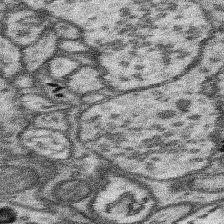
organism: Mouse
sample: Somatosensory cortex neuropil